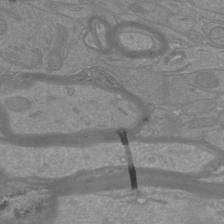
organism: Mouse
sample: Cortical neurons